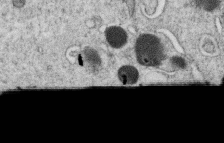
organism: C. elegans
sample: C. elegans oocyte; sperm cells